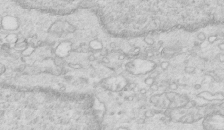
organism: Mouse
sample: Multiciliated cells